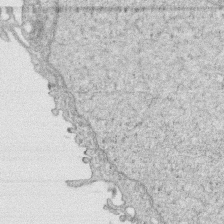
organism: Human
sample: HeLa cell HIV synapse